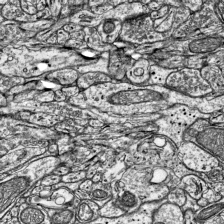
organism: Mouse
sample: Visual Cortex